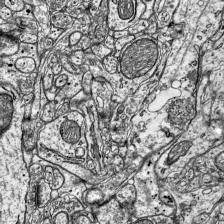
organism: Mouse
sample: Visual Cortex